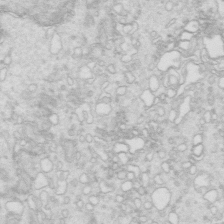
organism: Mouse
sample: Multiciliated cells